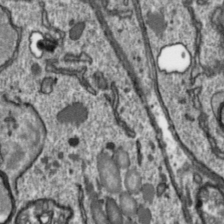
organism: Toxoplasma gondii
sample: Parasites in a vacuole inside a host cell